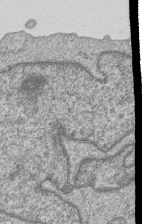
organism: Human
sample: MDA-MB-231 cells